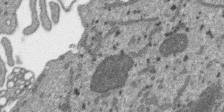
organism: Human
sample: Lung epithelial cells infected with SARS-CoV-2